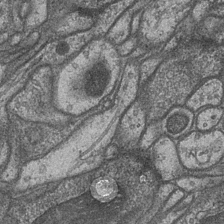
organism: Drosophila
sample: Optic medulla